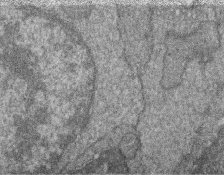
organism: Zebrafish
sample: Cilia; retinal pigment epithelium